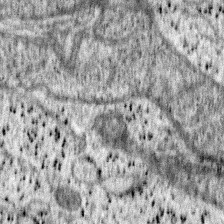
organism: Human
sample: HeLa cells